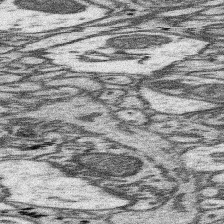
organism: Mouse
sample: Somatosensory cortex neuropil